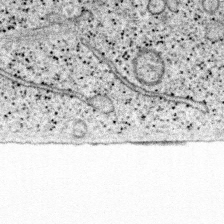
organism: Human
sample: HeLa cells